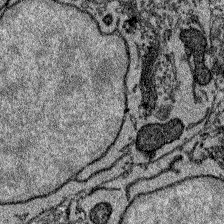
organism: Zebrafish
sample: Larval olfactory bulb